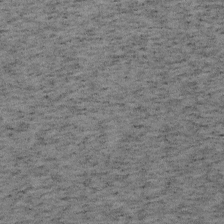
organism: Mouse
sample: OT-I killer T cells with ID8 ovarian cancer cells